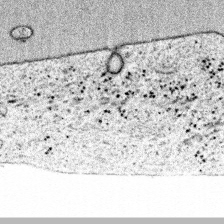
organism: Human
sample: HeLa cells